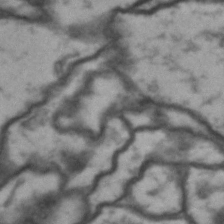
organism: Drosophila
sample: Brain